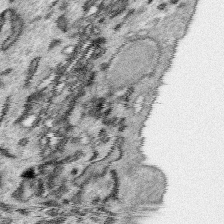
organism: Human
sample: HeLa cells